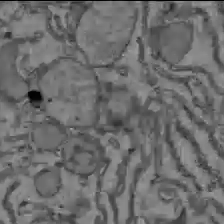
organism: C57BL Mouse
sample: Liver